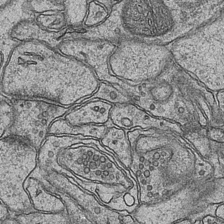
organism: Mouse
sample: CA1 Hippocampus